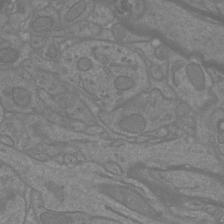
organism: Mouse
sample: Cortical neurons